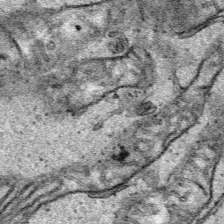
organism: Human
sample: Mitochondria in HCT116 cells